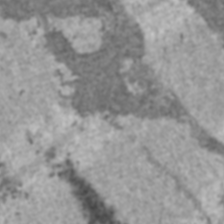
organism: C57BL Mouse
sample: Heart